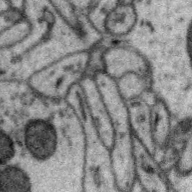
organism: Zebra finch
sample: Brain